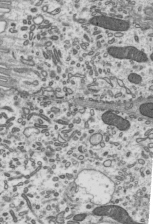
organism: Mouse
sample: Mouse epididymis efferent ductule cilia